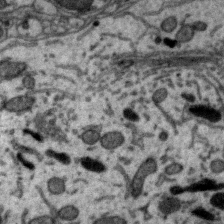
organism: Zebra finch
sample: Brain